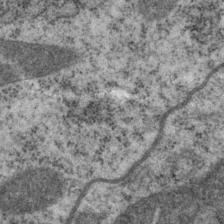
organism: P. pacificus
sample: Pharynx